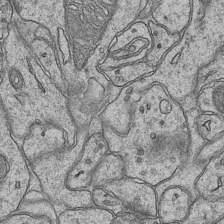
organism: Mouse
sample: CA1 Hippocampus